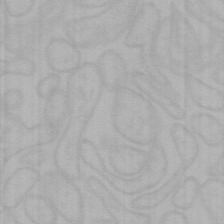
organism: Mouse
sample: Choroid plexus